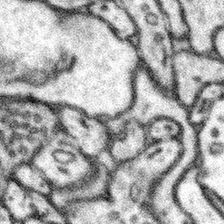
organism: Mouse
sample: Somatosensory cortex neuropil